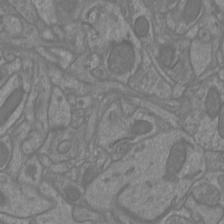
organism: Mouse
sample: Cortical neurons